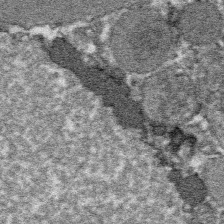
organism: Platynereis dumerilii